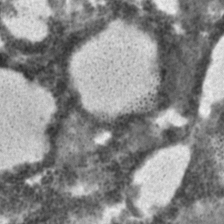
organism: C. elegans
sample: C. elegans embryo